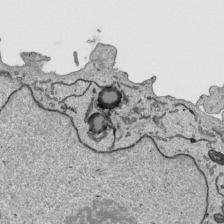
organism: Human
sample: Mitochondria in HCT116 cells